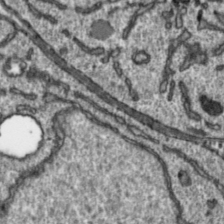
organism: Toxoplasma gondii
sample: Parasites in a vacuole inside a host cell